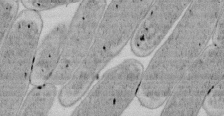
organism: E. coli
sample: Bacterial nucleoid